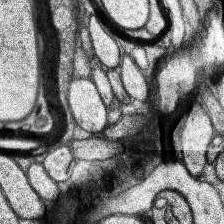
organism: Human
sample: Temporal Lobe